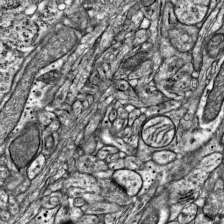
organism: Mouse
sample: Visual Cortex